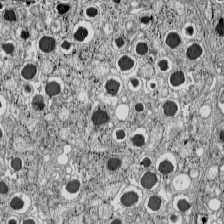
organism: C57BL Mouse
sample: Pancreatic islet